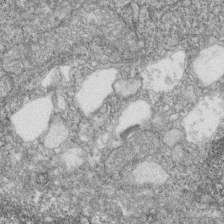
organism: Zebrafish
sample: Cilia; retinal pigment epithelium